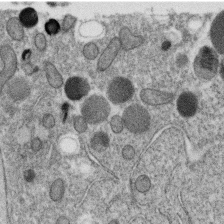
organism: C. elegans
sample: C. elegans oocyte; sperm cells